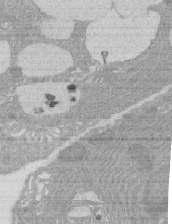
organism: Rat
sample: Salivary granule